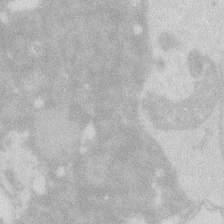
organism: Zebrafish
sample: Macrophage